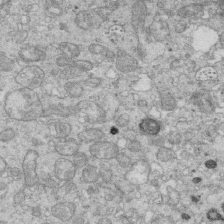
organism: Mouse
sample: Multiciliated cells